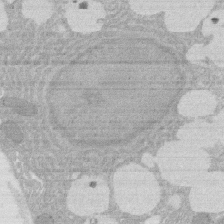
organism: Rat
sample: Salivary granule